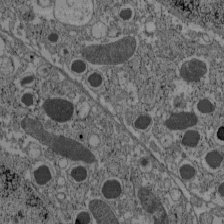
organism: C57BL Mouse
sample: Pancreatic islet